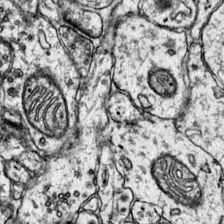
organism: Mouse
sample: Primary visual cortex